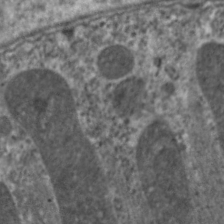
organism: C. elegans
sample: Pharynx